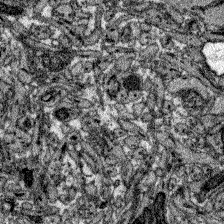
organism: Zebrafish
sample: Larval olfactory bulb